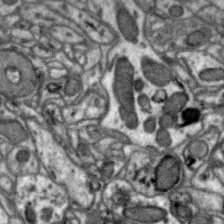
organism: Zebra finch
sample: Brain